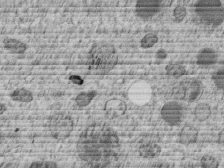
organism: C. elegans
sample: C. elegans embryo early stage